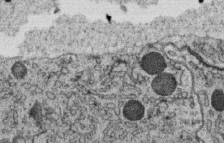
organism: C. elegans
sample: C. elegans oocyte; sperm cells